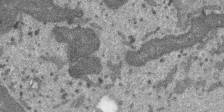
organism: Human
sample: Lung epithelial cells infected with SARS-CoV-2